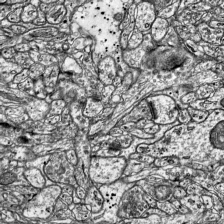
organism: Mouse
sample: Visual Cortex